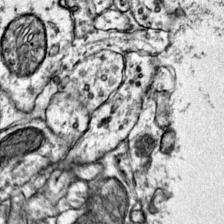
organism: Mouse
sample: Primary visual cortex